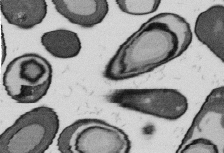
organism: B. subtilis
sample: Bacterial spore